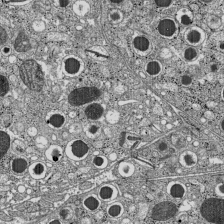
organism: C57BL Mouse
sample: Pancreatic islet